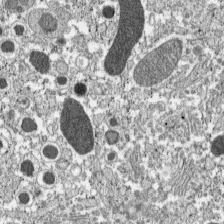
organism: C57BL Mouse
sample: Pancreatic islet